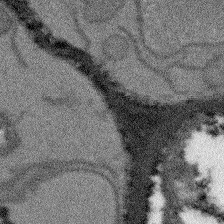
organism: Arabidopsis thaliana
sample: Root tip